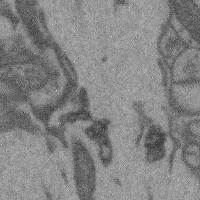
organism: Mouse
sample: Cerebral cortex